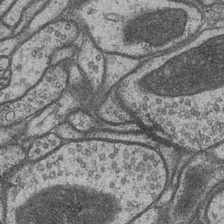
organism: Drosophila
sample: Optic medulla